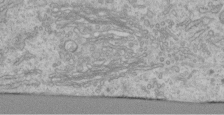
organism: Human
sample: Centriole in RPE cells